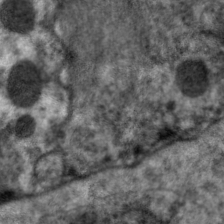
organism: C. elegans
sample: Pharynx